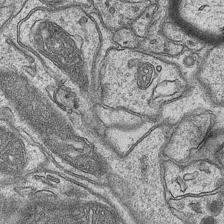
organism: Mouse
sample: CA1 Hippocampus